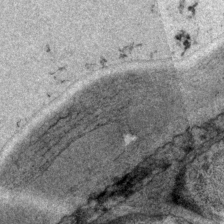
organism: P. pacificus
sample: Pharynx